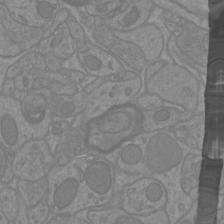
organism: Mouse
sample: Cortical neurons